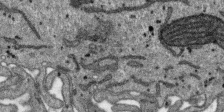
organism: Human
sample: Lung epithelial cells, uninfected (mock) control